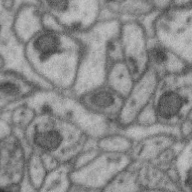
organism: Zebra finch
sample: Brain